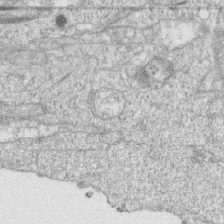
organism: Human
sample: HeLa cell HIV synapse